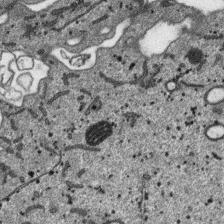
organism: Human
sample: Lung epithelial cells infected with SARS-CoV-2